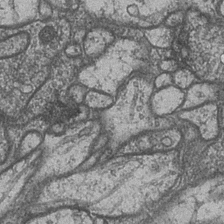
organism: Drosophila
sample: Optic medulla